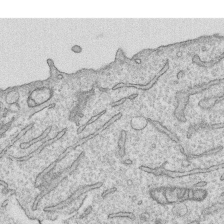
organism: Human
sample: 1205lu cells